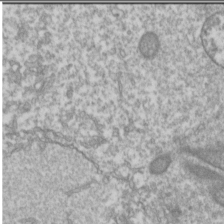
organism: Drosophila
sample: Cell division; meiosis; drosophila spermatocytes